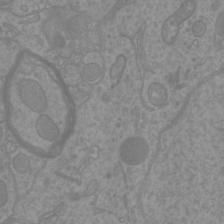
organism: Mouse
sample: Cortical neurons